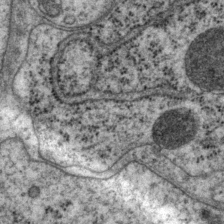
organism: P. pacificus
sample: Pharynx